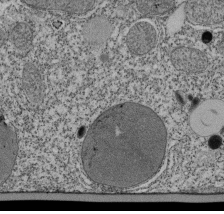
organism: Tetrahymena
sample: Cilia in tetrahymena